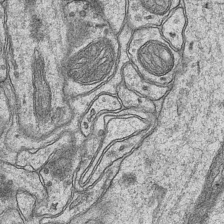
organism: Mouse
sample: CA1 Hippocampus